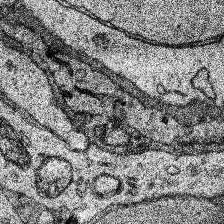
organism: Human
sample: Temporal Lobe